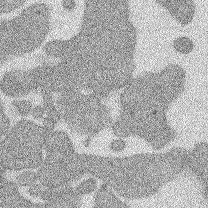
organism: Human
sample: HeLa cells